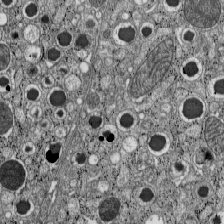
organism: C57BL Mouse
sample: Pancreatic islet